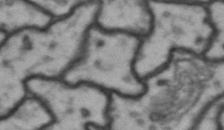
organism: Drosophila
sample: Brain